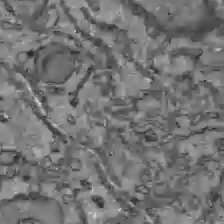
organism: C57BL Mouse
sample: Liver